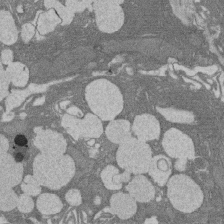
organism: Rat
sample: Salivary granule